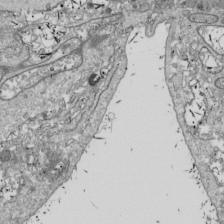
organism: Drosophila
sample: Cell division; meiosis; drosophila spermatocytes